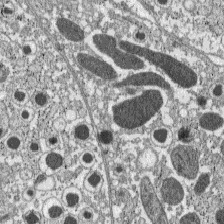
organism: C57BL Mouse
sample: Pancreatic islet